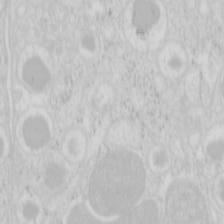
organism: Mouse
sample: Pancreas